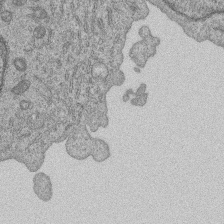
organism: Human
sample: MDA-MB-231 cells